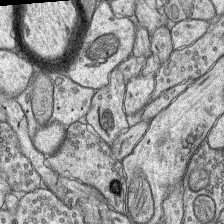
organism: Rat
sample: Hippocampus